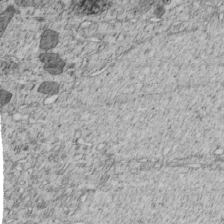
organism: C. elegans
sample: C. elegans embryo early stage